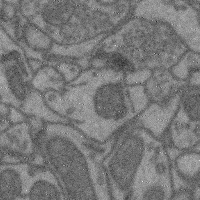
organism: Mouse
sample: Cerebral cortex